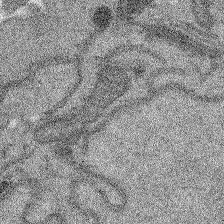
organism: Human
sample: HeLa cells